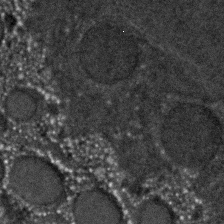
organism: C. elegans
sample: C. elegans embryo